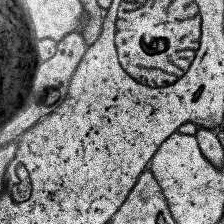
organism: Human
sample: Temporal Lobe